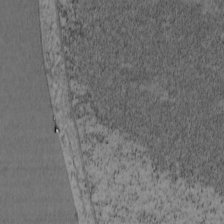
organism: African green monkey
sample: COS-7 cells